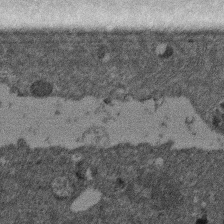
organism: Mouse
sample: Dividing mouse embryo 1 cell stage